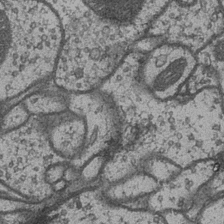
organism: Drosophila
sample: Optic medulla